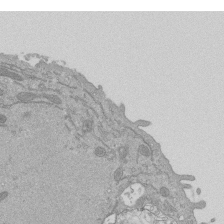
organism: Mouse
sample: ED-1 cell nuclei; centrioles